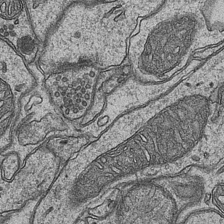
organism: Mouse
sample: CA1 Hippocampus